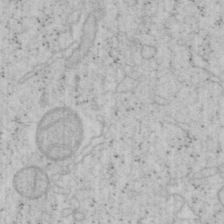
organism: Human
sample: HeLa cells